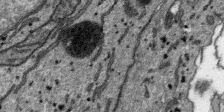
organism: Human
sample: Lung epithelial cells, uninfected (mock) control